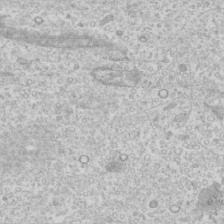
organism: Human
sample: CRL-1474